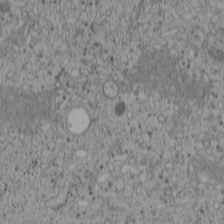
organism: African green monkey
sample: COS-7 cells